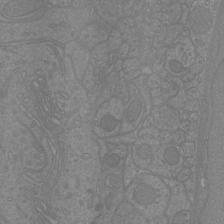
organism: Mouse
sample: Cortical neurons